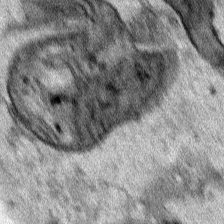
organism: Human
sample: Mitochondria in HCT116 cells